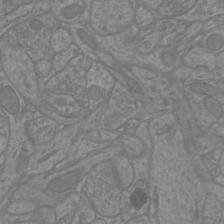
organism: Mouse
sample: Cortical neurons